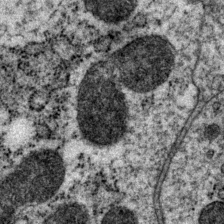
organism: P. pacificus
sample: Pharynx